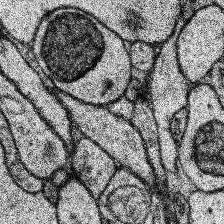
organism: Human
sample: Temporal Lobe